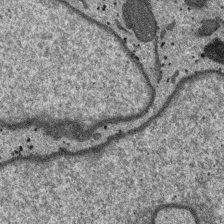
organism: Human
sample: Lung epithelial cells, uninfected (mock) control